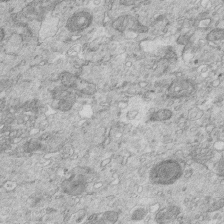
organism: Mouse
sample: Multiciliated cells